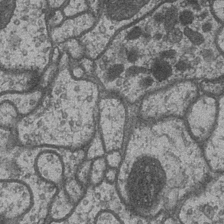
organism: Drosophila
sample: Optic medulla